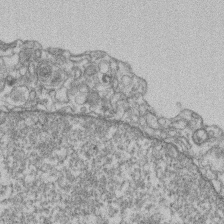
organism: Mouse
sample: T cell stromal cell synapse